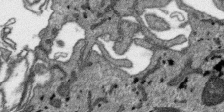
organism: Human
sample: Lung epithelial cells, uninfected (mock) control